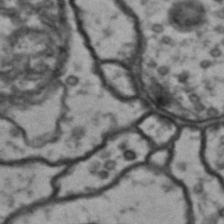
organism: Drosophila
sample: Brain